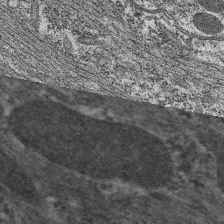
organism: C. elegans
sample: Pharynx